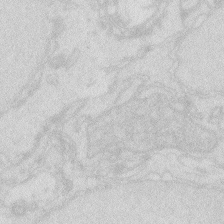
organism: Zebrafish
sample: Macrophage